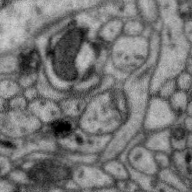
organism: Zebra finch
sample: Brain